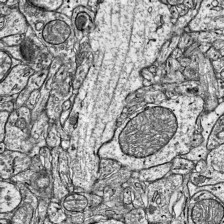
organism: Mouse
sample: Visual Cortex